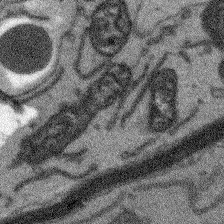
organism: Arabidopsis thaliana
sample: Root tip